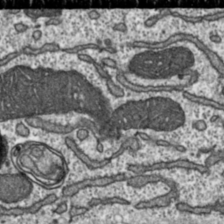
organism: Toxoplasma gondii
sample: Parasites in a vacuole inside a host cell